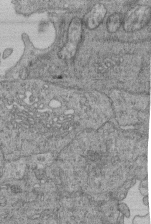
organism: Human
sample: Retinal organoid Rod and Cone cells